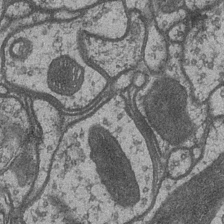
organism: Drosophila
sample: Optic medulla